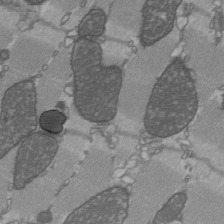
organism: C57BL Mouse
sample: Heart